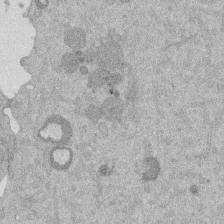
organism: Mouse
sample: Dividing mouse embryo 1 cell stage